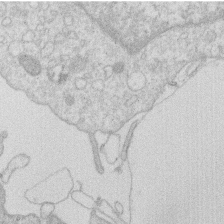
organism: Human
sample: Macrophage cells